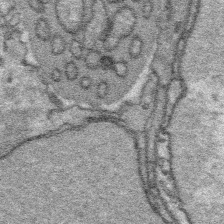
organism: Platynereis dumerilii